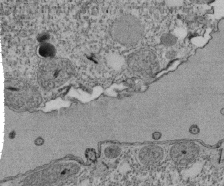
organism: Tetrahymena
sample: Cilia in tetrahymena